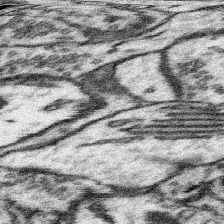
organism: Mouse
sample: Somatosensory cortex neuropil